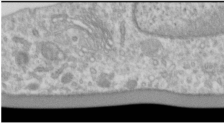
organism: Human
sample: Cilia; basal body in RPE cells